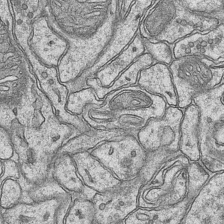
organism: Mouse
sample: CA1 Hippocampus